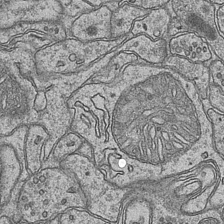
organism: Mouse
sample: CA1 Hippocampus